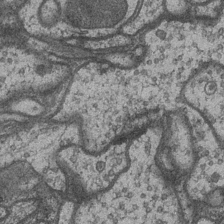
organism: Drosophila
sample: Optic medulla